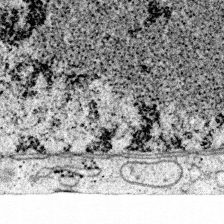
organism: Human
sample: HeLa cells